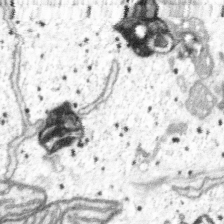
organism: Human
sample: HeLa cells